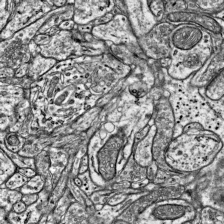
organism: Mouse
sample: Visual Cortex